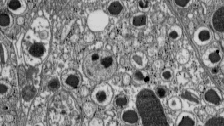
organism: C57BL Mouse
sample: Pancreatic islet